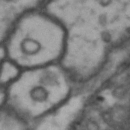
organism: Drosophila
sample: Brain